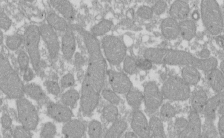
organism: Xenopus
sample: Cilia; centrioles in frog embryo cells